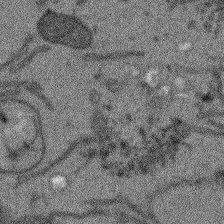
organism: Arabidopsis thaliana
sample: Root tip